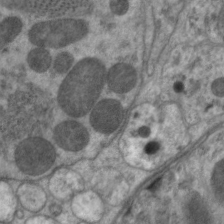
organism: C. elegans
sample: Pharynx